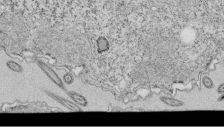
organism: Tetrahymena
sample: Cilia in tetrahymena